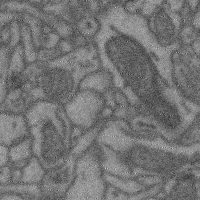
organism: Mouse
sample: Cerebral cortex